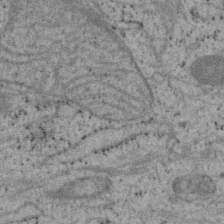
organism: Human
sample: HeLa cells